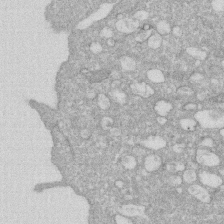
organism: Human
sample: HIV infected U937 cells